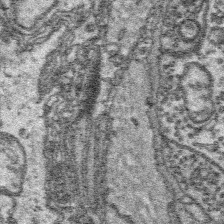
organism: Platynereis dumerilii